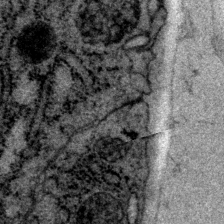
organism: P. pacificus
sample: Pharynx